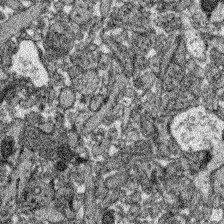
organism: Zebrafish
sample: Larval olfactory bulb